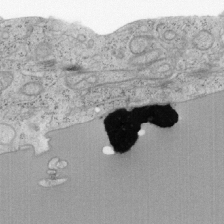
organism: Human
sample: HeLa cells